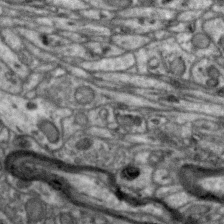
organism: Zebra finch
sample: Brain